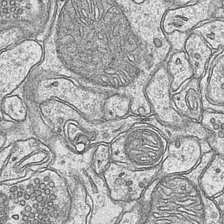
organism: Mouse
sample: CA1 Hippocampus